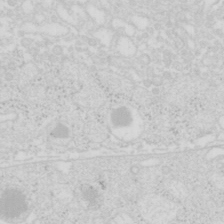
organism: Mouse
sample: Pancreas